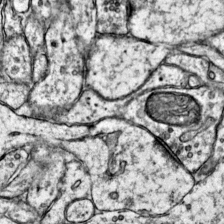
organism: Mouse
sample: Primary visual cortex